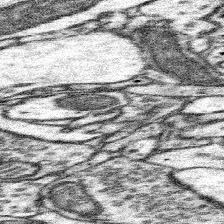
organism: Mouse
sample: Somatosensory cortex neuropil